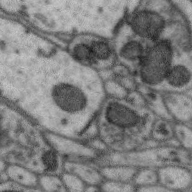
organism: Zebra finch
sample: Brain